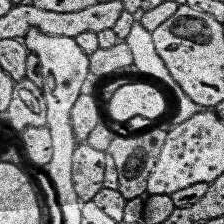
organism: Human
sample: Temporal Lobe